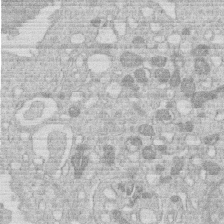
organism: Human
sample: Macrophage cells